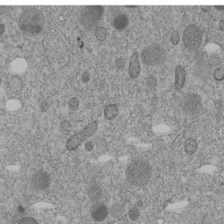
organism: C. elegans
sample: C. elegans embryo early stage